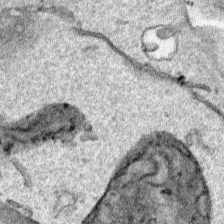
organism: Human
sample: Mitochondria in HCT116 cells